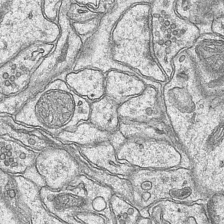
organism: Mouse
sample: CA1 Hippocampus